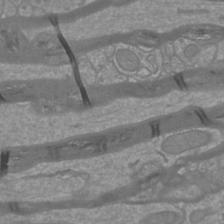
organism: Mouse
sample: Cortical neurons